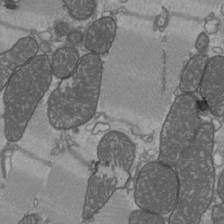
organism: C57BL Mouse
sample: Heart